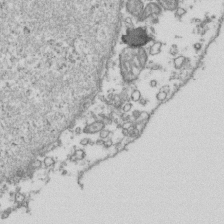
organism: Human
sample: Activated Jurkat CD4+ T cells